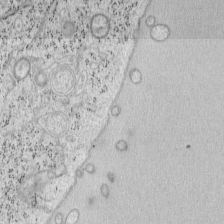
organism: Mouse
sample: OT-I killer T cells with ID8 ovarian cancer cells